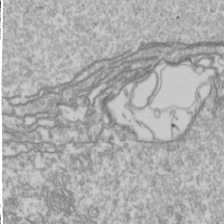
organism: Drosophila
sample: Cell division; meiosis; drosophila spermatocytes